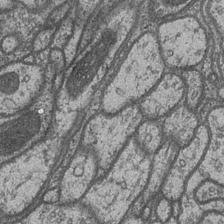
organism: Drosophila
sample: Optic medulla